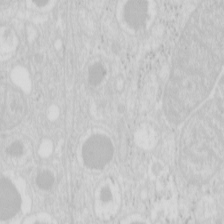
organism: Mouse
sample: Pancreas